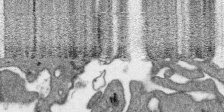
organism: Human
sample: Lung epithelial cells, uninfected (mock) control